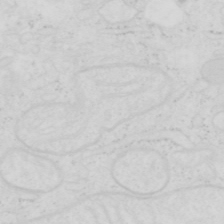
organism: Human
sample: SUM-159 cell